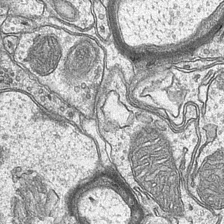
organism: Mouse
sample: CA1 Hippocampus